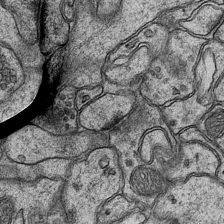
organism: Mouse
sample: CA1 Hippocampus